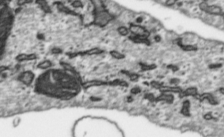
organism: Toxoplasma gondii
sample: Parasites in a vacuole inside a host cell